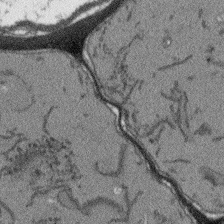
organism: Arabidopsis thaliana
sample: Root tip